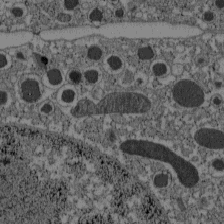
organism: C57BL Mouse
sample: Pancreatic islet